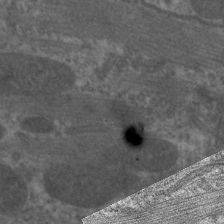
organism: C. elegans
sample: Pharynx